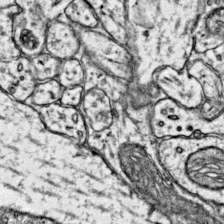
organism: Mouse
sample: Primary visual cortex